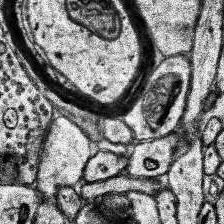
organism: Human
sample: Temporal Lobe